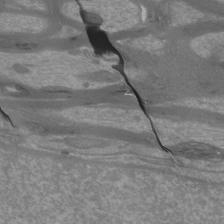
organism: Mouse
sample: Cortical neurons